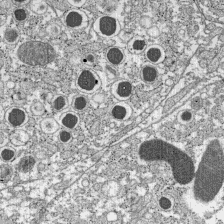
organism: C57BL Mouse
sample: Pancreatic islet